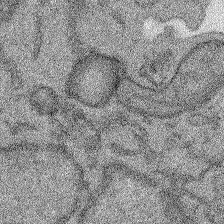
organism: Human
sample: HeLa cells